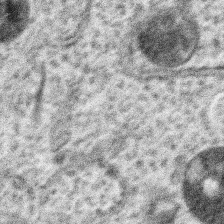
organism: Human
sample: HeLa cells